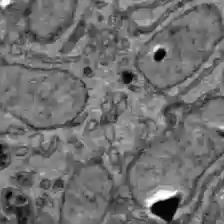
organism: C57BL Mouse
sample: Liver